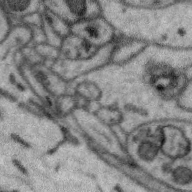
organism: Zebra finch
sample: Brain